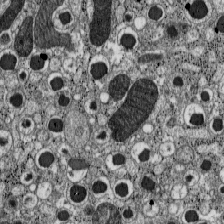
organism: C57BL Mouse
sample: Pancreatic islet